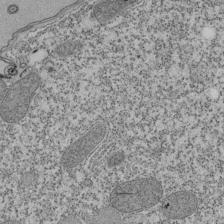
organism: Tetrahymena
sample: Cilia in tetrahymena